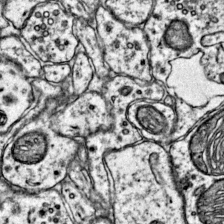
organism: Mouse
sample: Primary visual cortex